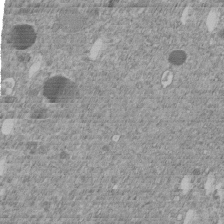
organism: C. elegans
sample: C. elegans embryo early stage